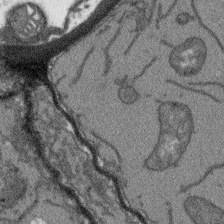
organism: Arabidopsis thaliana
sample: Root tip